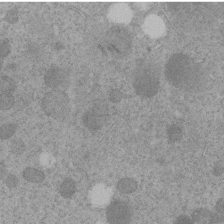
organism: C. elegans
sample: C. elegans embryo early stage